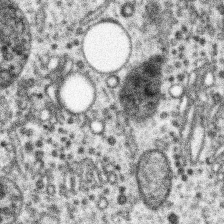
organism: Human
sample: HeLa cells